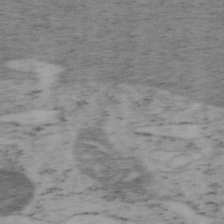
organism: Mouse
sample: OT-I killer T cells with ID8 ovarian cancer cells